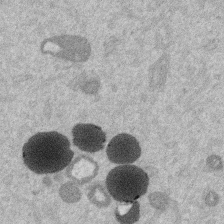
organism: Mouse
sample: Dividing mouse embryo 1 cell stage